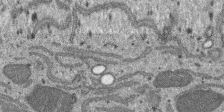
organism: Human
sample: Lung epithelial cells infected with SARS-CoV-2